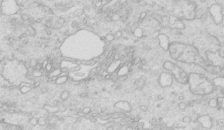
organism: Mouse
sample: Multiciliated cells